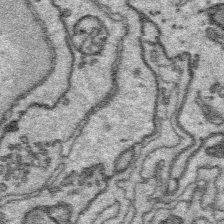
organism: Platynereis dumerilii